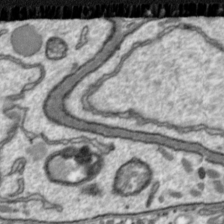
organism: Toxoplasma gondii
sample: Parasites in a vacuole inside a host cell